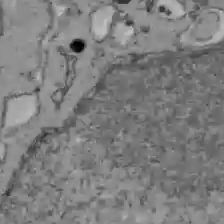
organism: C57BL Mouse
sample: Liver